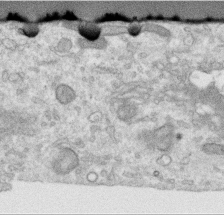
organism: Human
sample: Centriole in RPE cells